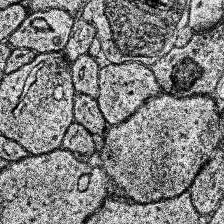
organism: Human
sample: Temporal Lobe